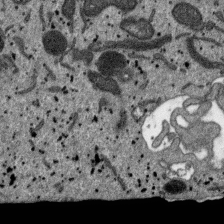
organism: Human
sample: Lung epithelial cells, uninfected (mock) control